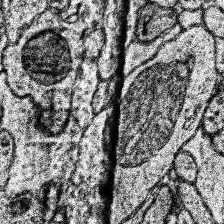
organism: Human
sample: Temporal Lobe